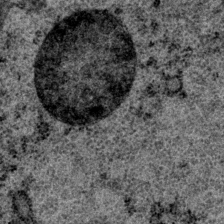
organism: P. pacificus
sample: Pharynx